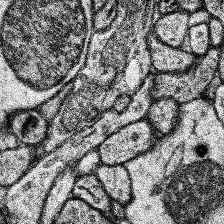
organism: Human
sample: Temporal Lobe